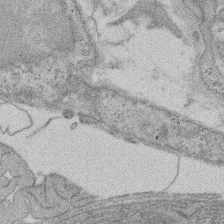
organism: Rat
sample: Salivary granule